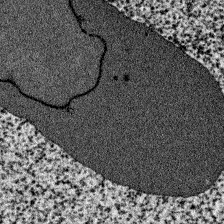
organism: Zebrafish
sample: Larval olfactory bulb